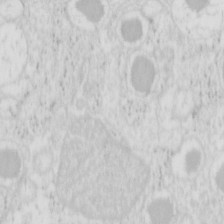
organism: Mouse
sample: Pancreas